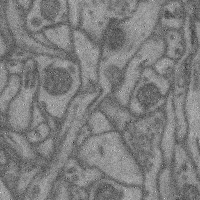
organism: Mouse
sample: Cerebral cortex